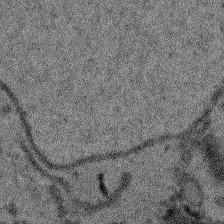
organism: Arabidopsis thaliana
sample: Root tip